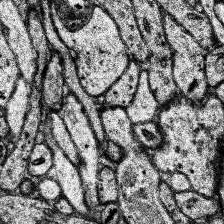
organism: Human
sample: Temporal Lobe